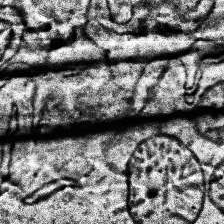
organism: Human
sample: Temporal Lobe